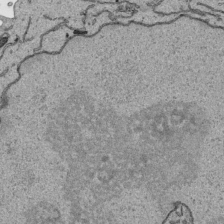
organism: Human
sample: Mitochondria in HCT116 cells